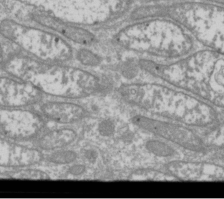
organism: Drosophila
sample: Cell division; meiosis; drosophila spermatocytes